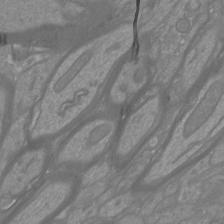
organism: Mouse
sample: Cortical neurons